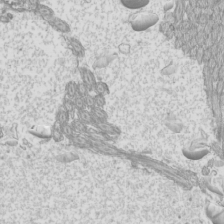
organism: Mouse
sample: Cilia; mouse epididymis